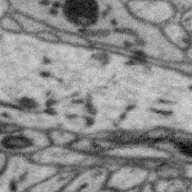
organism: Zebra finch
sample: Brain